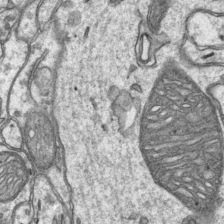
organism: Mouse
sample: CA1 Hippocampus